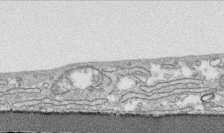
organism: Human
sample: CRL-1474